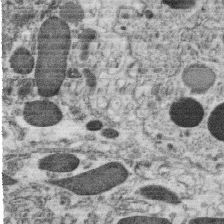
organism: C. elegans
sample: C. elegans oocyte; sperm cells